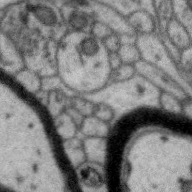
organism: Zebra finch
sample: Brain